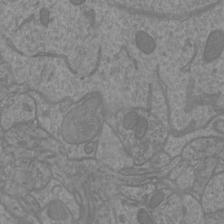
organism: Mouse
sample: Cortical neurons